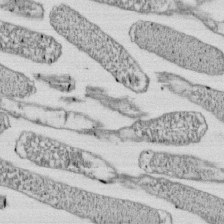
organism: E. coli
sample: Bacterial nucleoid